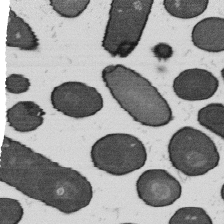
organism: B. subtilis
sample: Bacterial spore